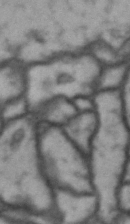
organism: Drosophila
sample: Brain